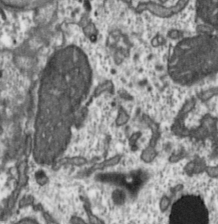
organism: Toxoplasma gondii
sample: Parasites in a vacuole inside a host cell